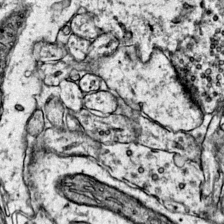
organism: Mouse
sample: Primary visual cortex